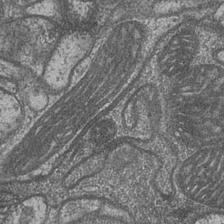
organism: Drosophila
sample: Optic medulla